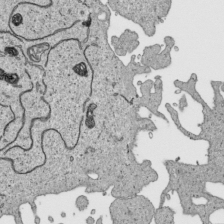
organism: Human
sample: Mitochondria in HCT116 cells